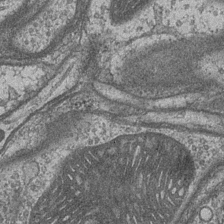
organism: Drosophila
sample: Optic medulla